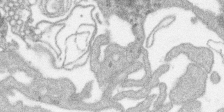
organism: Human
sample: Lung epithelial cells infected with SARS-CoV-2